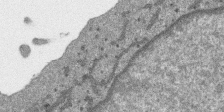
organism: Human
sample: Lung epithelial cells infected with SARS-CoV-2